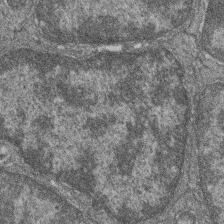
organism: Zebrafish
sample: Cilia; retinal pigment epithelium